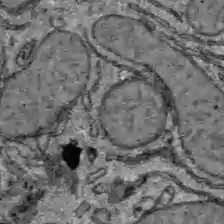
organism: C57BL Mouse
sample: Liver